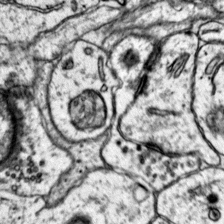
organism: Mouse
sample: Primary visual cortex